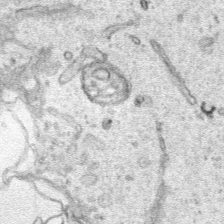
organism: Human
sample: Mitochondria in HCT116 cells